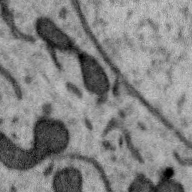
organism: Zebra finch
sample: Brain